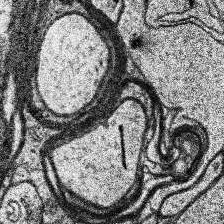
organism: Human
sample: Temporal Lobe